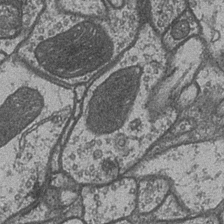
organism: Drosophila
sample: Optic medulla